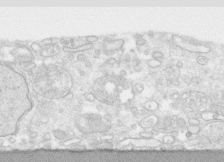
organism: Human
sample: CRL-1474